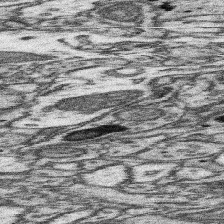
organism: Mouse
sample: Somatosensory cortex neuropil